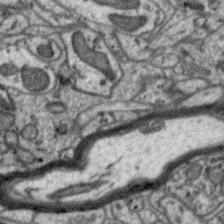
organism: Zebra finch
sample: Brain